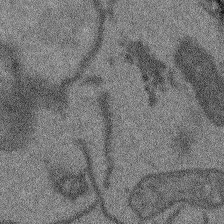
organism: Arabidopsis thaliana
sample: Root tip